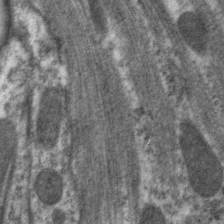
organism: C. elegans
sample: Pharynx